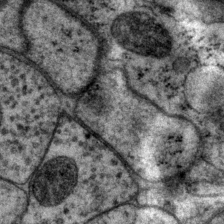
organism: P. pacificus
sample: Pharynx